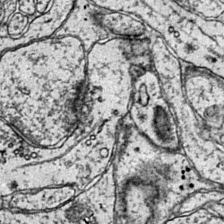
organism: Mouse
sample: Primary visual cortex